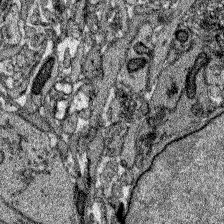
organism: Zebrafish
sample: Larval olfactory bulb